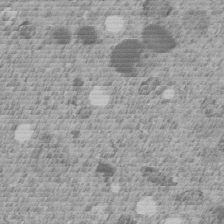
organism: C. elegans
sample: C. elegans embryo early stage